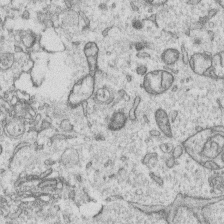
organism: Human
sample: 1205lu cells